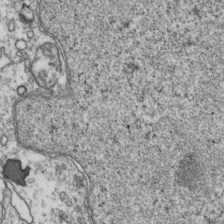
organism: Human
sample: Activated Jurkat CD4+ T cells